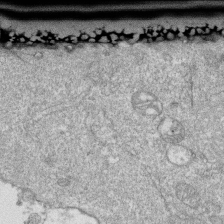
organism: Human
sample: HeLa cell HIV synapse